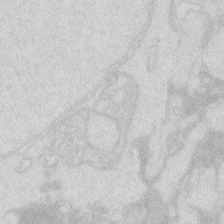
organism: Zebrafish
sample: Macrophage